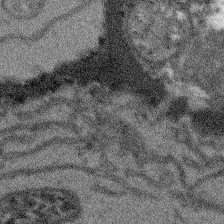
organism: Arabidopsis thaliana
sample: Root tip